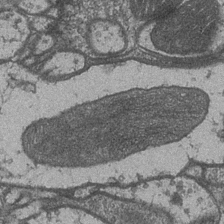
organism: Drosophila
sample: Optic medulla